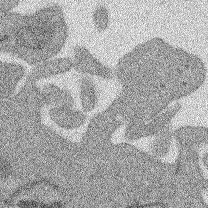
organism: Human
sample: HeLa cells